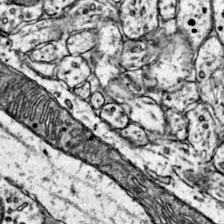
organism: Mouse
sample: Primary visual cortex